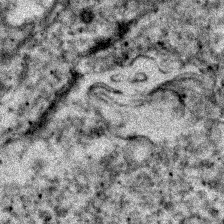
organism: Zebrafish